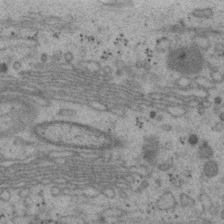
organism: Human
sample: HeLa cells